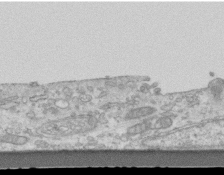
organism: Mouse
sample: Centriole in ependymal cells